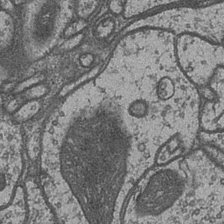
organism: Drosophila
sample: Optic medulla